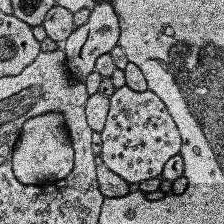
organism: Human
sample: Temporal Lobe